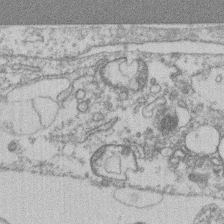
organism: Mouse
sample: T cell stromal cell synapse